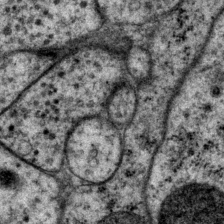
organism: P. pacificus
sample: Pharynx